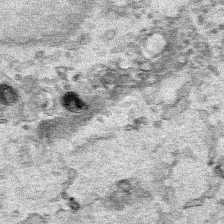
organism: Human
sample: Mitochondria in HCT116 cells